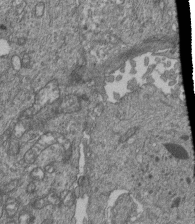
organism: Human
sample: Retinal organoid Rod and Cone cells